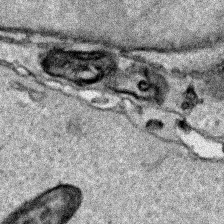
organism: Human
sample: Mitochondria in HCT116 cells